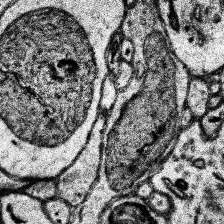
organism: Human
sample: Temporal Lobe